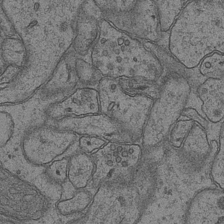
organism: Mouse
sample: CA1 Hippocampus